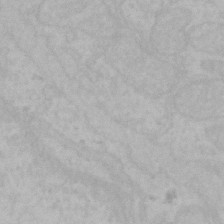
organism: Mouse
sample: Choroid plexus